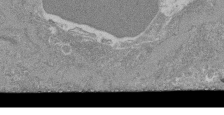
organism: Mouse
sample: Glomerulus